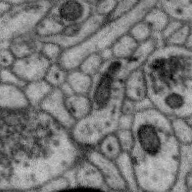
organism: Zebra finch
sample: Brain